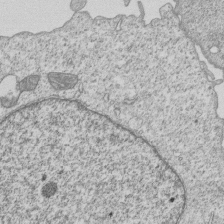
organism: Human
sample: MDA-MB-231 cells